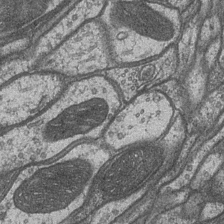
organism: Drosophila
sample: Optic medulla